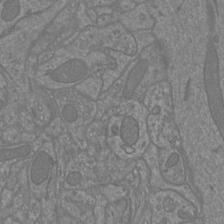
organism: Mouse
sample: Cortical neurons